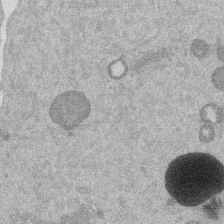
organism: Mouse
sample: Dividing mouse embryo 1 cell stage